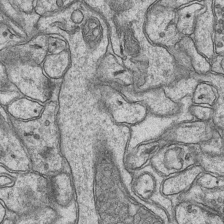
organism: Mouse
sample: CA1 Hippocampus